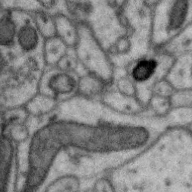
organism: Zebra finch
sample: Brain